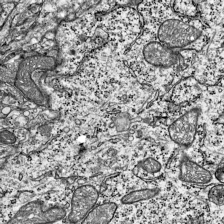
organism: Mouse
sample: Visual Cortex